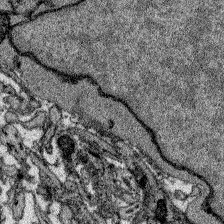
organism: Zebrafish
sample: Larval olfactory bulb